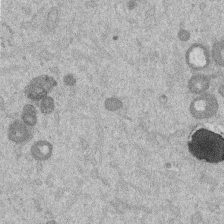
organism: Mouse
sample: Dividing mouse embryo 1 cell stage